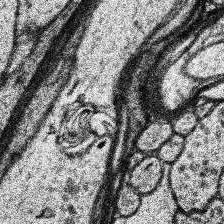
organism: Human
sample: Temporal Lobe